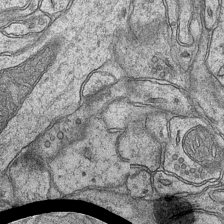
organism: Mouse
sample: CA1 Hippocampus